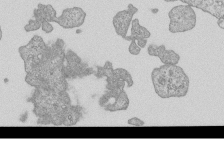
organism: Human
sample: MDA-MB-231 cells